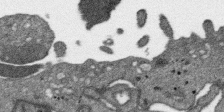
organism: Human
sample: Lung epithelial cells, uninfected (mock) control